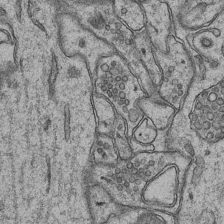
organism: Mouse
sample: CA1 Hippocampus